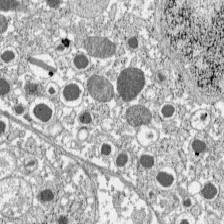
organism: C57BL Mouse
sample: Pancreatic islet